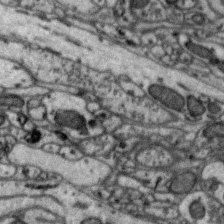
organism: Zebra finch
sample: Brain